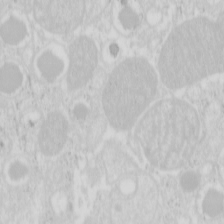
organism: Mouse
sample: Pancreas